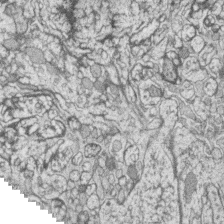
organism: Zebrafish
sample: synaptic ribbons in rod cells and cone cells